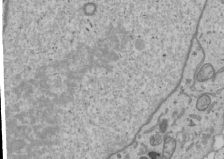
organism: Human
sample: Mitochondria in U2OS cells